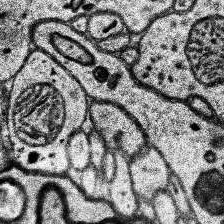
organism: Human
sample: Temporal Lobe